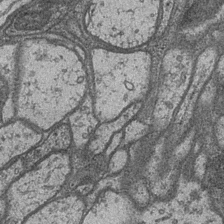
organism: Drosophila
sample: Optic medulla